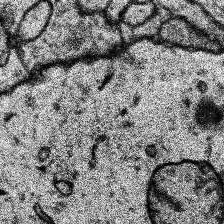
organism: Human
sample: Temporal Lobe